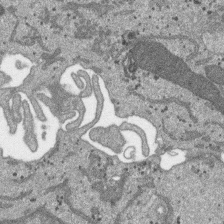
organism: Human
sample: Lung epithelial cells infected with SARS-CoV-2